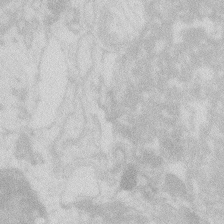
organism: Zebrafish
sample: Macrophage